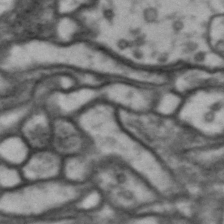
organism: Drosophila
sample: Brain